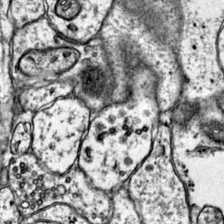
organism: Mouse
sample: Primary visual cortex